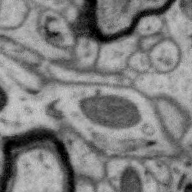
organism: Zebra finch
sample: Brain